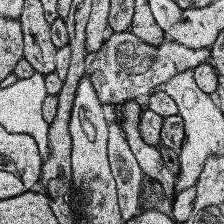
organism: Human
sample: Temporal Lobe